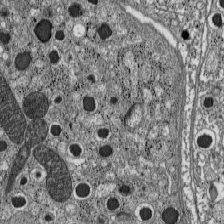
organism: C57BL Mouse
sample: Pancreatic islet